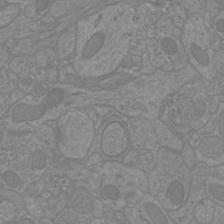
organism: Mouse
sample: Cortical neurons